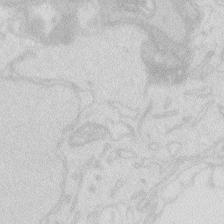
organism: Zebrafish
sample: Macrophage